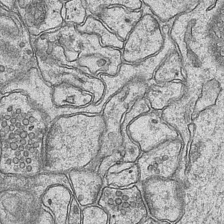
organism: Mouse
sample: CA1 Hippocampus